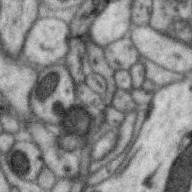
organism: Zebra finch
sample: Brain